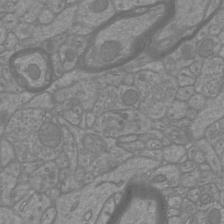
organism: Mouse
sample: Cortical neurons